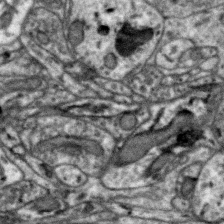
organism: Zebra finch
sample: Brain